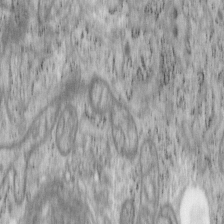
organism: Human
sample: HeLa cells